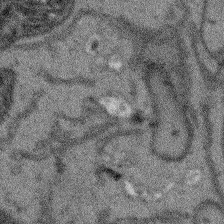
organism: Arabidopsis thaliana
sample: Root tip